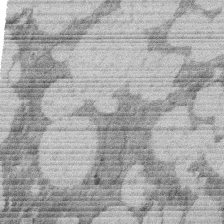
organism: Rat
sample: Salivary granule